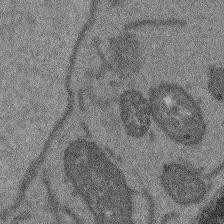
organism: Arabidopsis thaliana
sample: Root tip